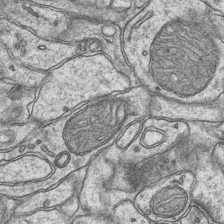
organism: Mouse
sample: CA1 Hippocampus